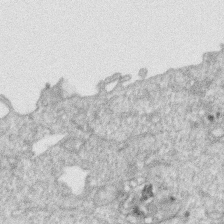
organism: Human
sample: HeLa cell HIV synapse